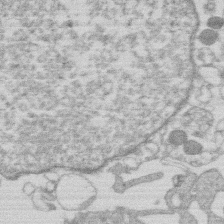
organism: Human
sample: Macrophage cells